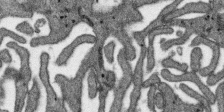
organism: Human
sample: Lung epithelial cells, uninfected (mock) control